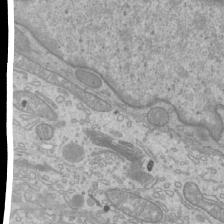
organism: Mouse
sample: Cilia; mouse epididymis